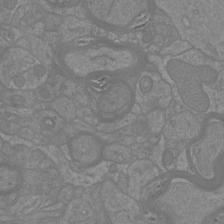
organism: Mouse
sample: Cortical neurons